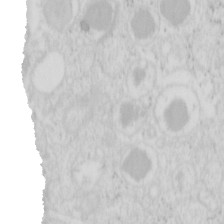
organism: Mouse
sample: Pancreas